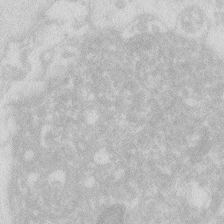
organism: Zebrafish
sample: Macrophage